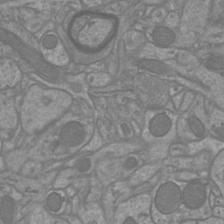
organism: Mouse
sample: Cortical neurons